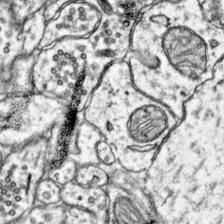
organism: Mouse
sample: Primary visual cortex